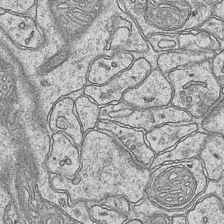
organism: Mouse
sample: CA1 Hippocampus